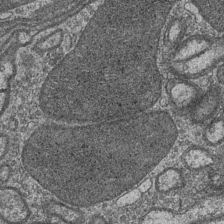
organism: Drosophila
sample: Optic medulla